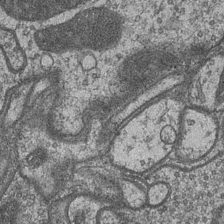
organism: Drosophila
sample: Optic medulla